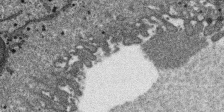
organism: Human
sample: Lung epithelial cells infected with SARS-CoV-2